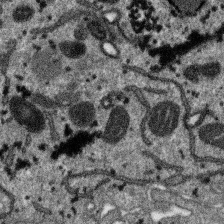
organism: Human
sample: Lung epithelial cells infected with SARS-CoV-2